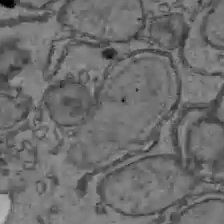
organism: C57BL Mouse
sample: Liver